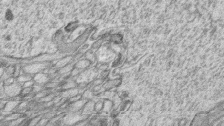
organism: Zebrafish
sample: synaptic ribbons in rod cells and cone cells